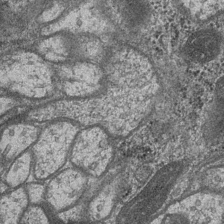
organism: Drosophila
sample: Optic medulla